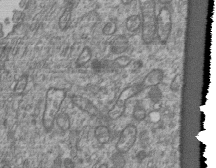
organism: Human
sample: Retinal organoid Rod and Cone cells